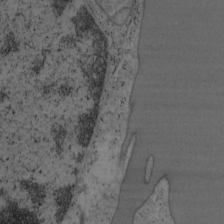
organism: Mouse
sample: OT-I killer T cells with ID8 ovarian cancer cells